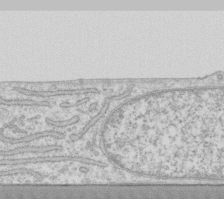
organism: Human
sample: Fibroblast cells